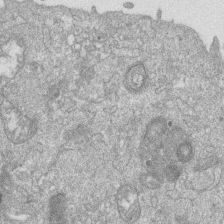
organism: Human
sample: HeLa cell HIV synapse